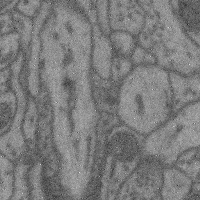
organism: Mouse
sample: Cerebral cortex